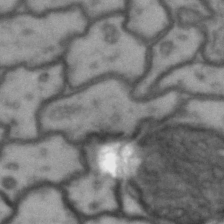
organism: Drosophila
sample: Brain